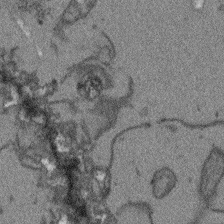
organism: Arabidopsis thaliana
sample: Root tip